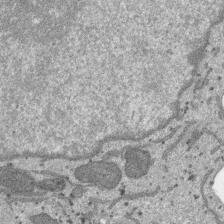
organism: Human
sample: Lung epithelial cells infected with SARS-CoV-2